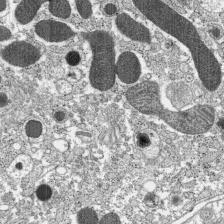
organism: C57BL Mouse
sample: Pancreatic islet